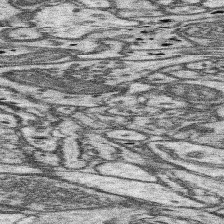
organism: Mouse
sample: Somatosensory cortex neuropil